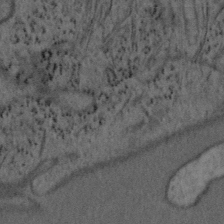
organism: Human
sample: HeLa cells